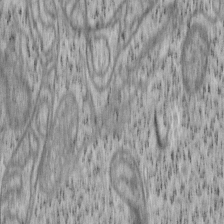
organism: Human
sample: HeLa cells